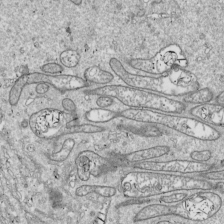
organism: Drosophila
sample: Cell division; meiosis; drosophila spermatocytes